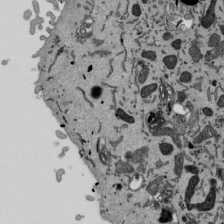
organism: Mouse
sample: ED-1 cell nuclei; centrioles